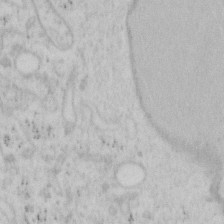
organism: Human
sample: HeLa cells